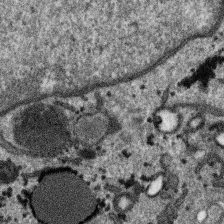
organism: Human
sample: Lung epithelial cells infected with SARS-CoV-2